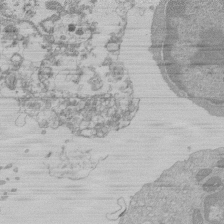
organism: Mouse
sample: Activated Pmel transgenic CD8+ T Cells